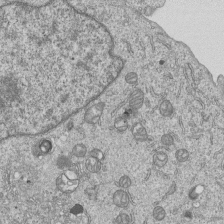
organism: Human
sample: MDA-MB-231 cells